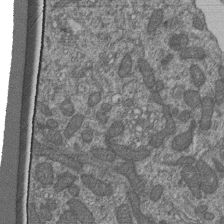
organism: Human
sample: Retinal organoid Rod and Cone cells